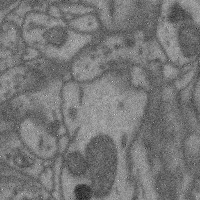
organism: Mouse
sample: Cerebral cortex